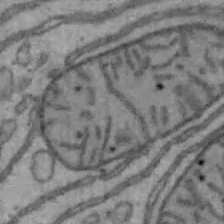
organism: Mouse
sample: Liver